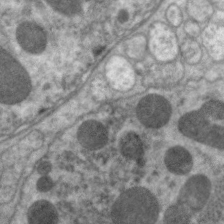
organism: C. elegans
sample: Pharynx